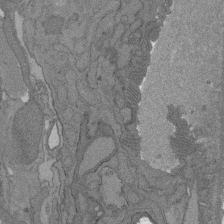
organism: C. elegans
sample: AFD neurons C. elegans